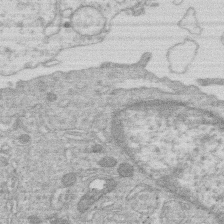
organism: Human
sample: Macrophage cells